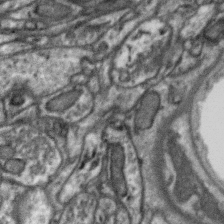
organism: Zebra finch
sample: Brain